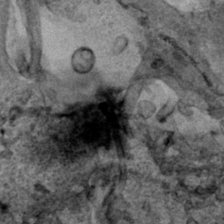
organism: Human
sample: Mitochondria in HCT116 cells